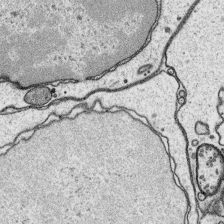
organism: Platynereis dumerilii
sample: Parapodia